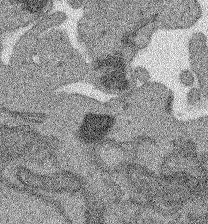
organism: Human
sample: HeLa cells